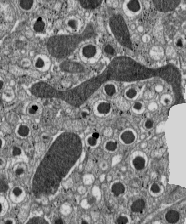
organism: C57BL Mouse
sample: Pancreatic islet